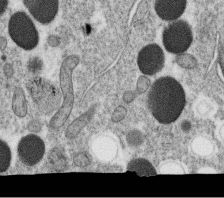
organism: C. elegans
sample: C. elegans oocyte; sperm cells